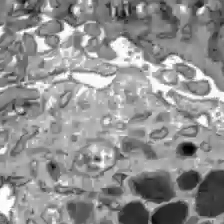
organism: C57BL Mouse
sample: Liver